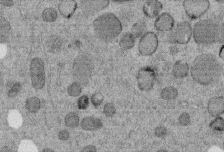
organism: C. elegans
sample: C. elegans embryo early stage